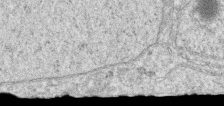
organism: Human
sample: HeLa cell HIV synapse